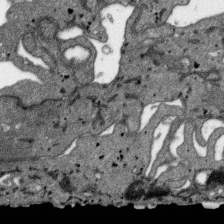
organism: Human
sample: Lung epithelial cells, uninfected (mock) control